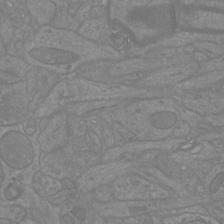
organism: Mouse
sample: Cortical neurons